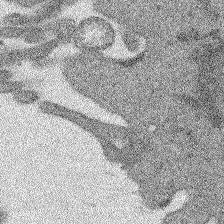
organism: Human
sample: HeLa cells